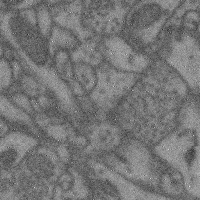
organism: Mouse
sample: Cerebral cortex